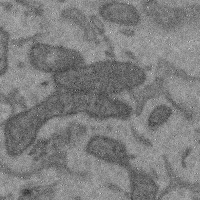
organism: Mouse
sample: Cerebral cortex